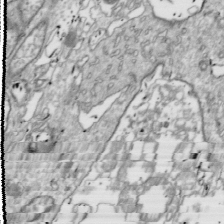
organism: Drosophila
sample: Cell division; meiosis; drosophila spermatocytes